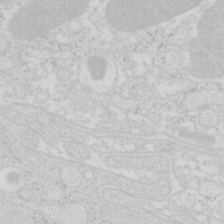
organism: Mouse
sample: Pancreas